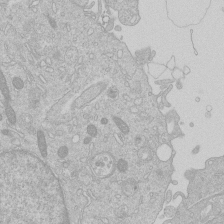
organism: Human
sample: Macrophage cells